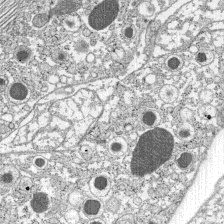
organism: C57BL Mouse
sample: Pancreatic islet